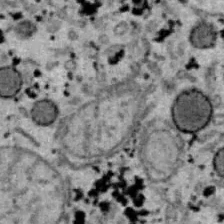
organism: Mouse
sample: Liver from an obese (ob/ob) mouse